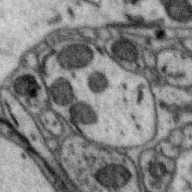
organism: Zebra finch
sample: Brain